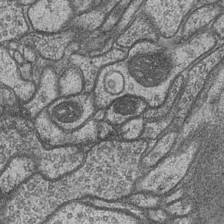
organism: Drosophila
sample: Optic medulla